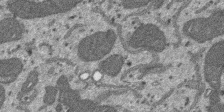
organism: Human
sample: Lung epithelial cells infected with SARS-CoV-2